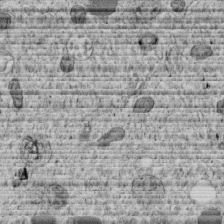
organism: C. elegans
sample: C. elegans embryo early stage